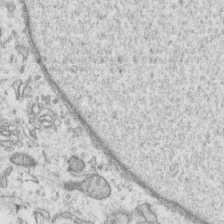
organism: Human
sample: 1205lu cells